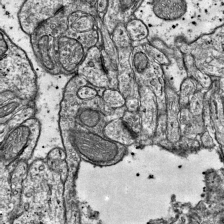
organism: Mouse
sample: Visual Cortex